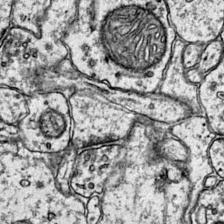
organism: Mouse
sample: Primary visual cortex